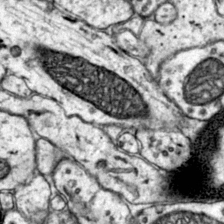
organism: Mouse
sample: Primary visual cortex